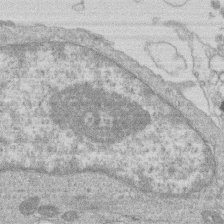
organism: Human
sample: Macrophage cells